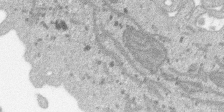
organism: Human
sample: Lung epithelial cells infected with SARS-CoV-2